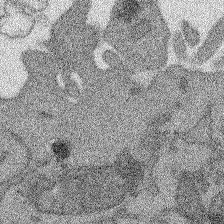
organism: Human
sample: HeLa cells